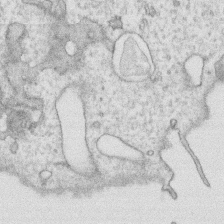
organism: Human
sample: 1205lu cells